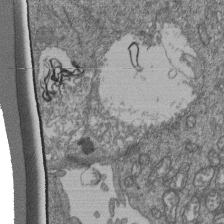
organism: Human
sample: Retinal organoid Rod and Cone cells